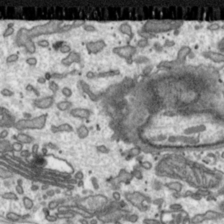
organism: Toxoplasma gondii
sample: Parasites in a vacuole inside a host cell